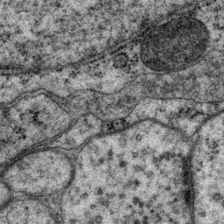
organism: P. pacificus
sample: Pharynx